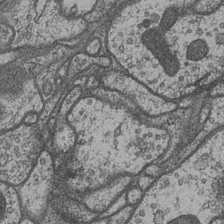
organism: Drosophila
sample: Optic medulla